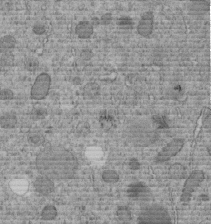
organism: C. elegans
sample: C. elegans embryo early stage